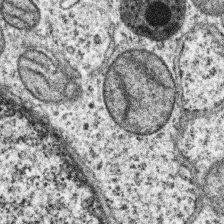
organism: Human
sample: HeLa cells